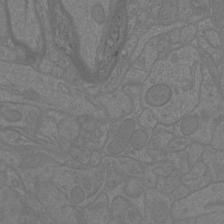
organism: Mouse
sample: Cortical neurons